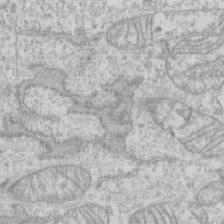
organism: Human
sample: CRL-1474